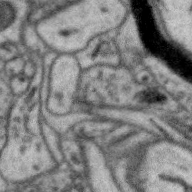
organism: Zebra finch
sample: Brain